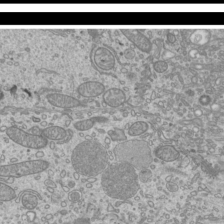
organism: Mouse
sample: Cilia; mouse epididymis